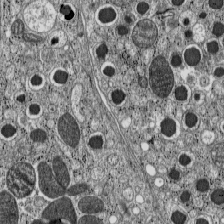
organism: C57BL Mouse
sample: Pancreatic islet